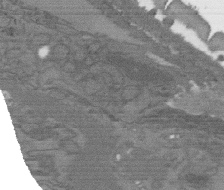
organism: C. elegans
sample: AFD neurons C. elegans